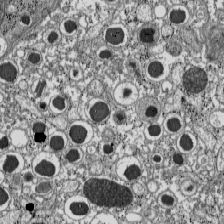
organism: C57BL Mouse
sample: Pancreatic islet